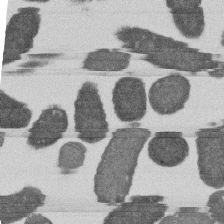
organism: E. coli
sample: Bacterial nucleoid